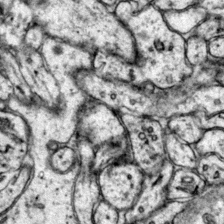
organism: Mouse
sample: Primary visual cortex